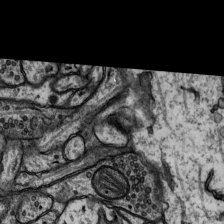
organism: Rat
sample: Hippocampus